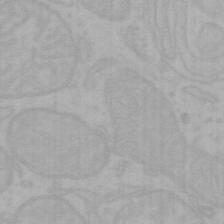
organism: Mouse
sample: Choroid plexus